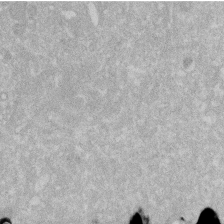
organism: Human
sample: HIV infected U937 cells